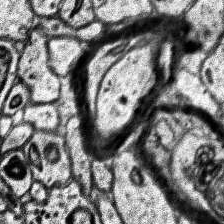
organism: Human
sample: Temporal Lobe